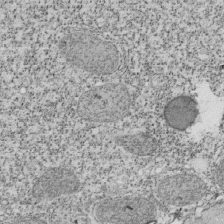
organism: Tetrahymena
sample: Cilia in tetrahymena